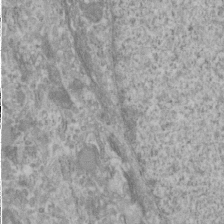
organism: Human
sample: Cilia; basal body in RPE cells